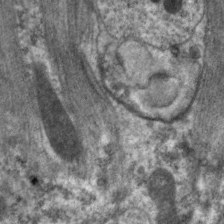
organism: C. elegans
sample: Pharynx